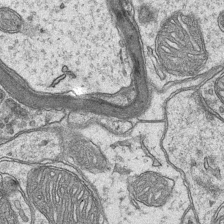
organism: Mouse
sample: CA1 Hippocampus